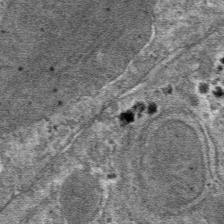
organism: Mouse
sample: Mouse hepatocytes